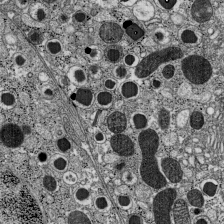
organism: C57BL Mouse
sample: Pancreatic islet